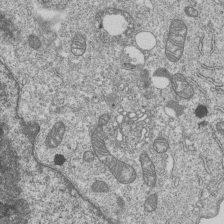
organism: Human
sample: MDA-MB-231 cells